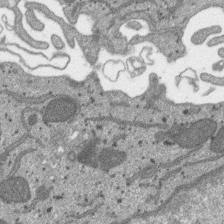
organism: Human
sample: Lung epithelial cells infected with SARS-CoV-2